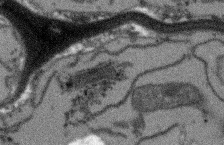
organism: Arabidopsis thaliana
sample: Root tip